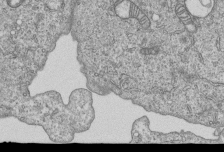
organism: Human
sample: MDA-MB-231 cells